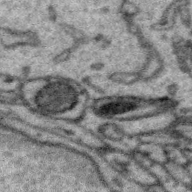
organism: Zebra finch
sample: Brain